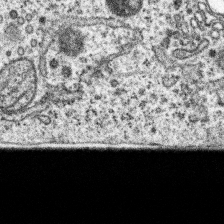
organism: Human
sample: HeLa cells